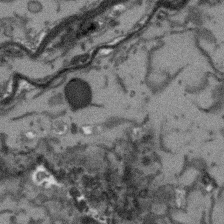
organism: Arabidopsis thaliana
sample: Root tip